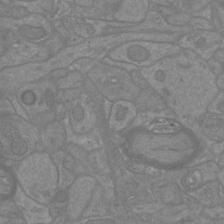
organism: Mouse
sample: Cortical neurons